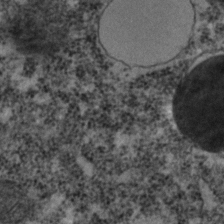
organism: C. elegans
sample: C. elegans embryo